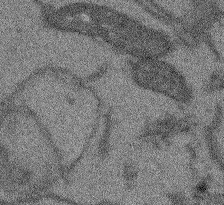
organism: Arabidopsis thaliana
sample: Root tip